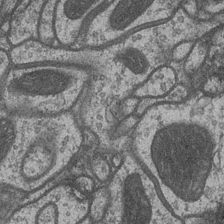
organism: Drosophila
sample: Optic medulla